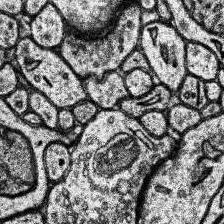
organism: Human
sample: Temporal Lobe